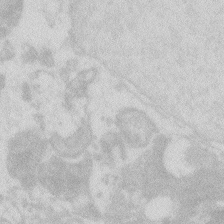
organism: Zebrafish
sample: Macrophage